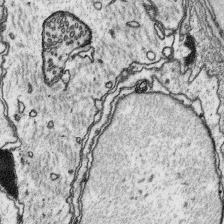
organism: Platynereis dumerilii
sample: Parapodia